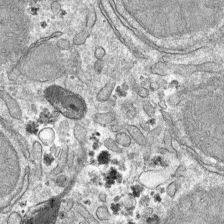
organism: Mouse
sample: Mouse hepatocytes